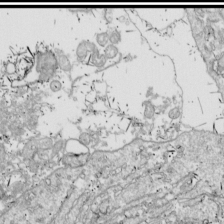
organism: Drosophila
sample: Cell division; meiosis; drosophila spermatocytes